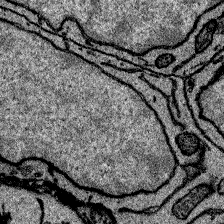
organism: Zebrafish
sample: Larval olfactory bulb